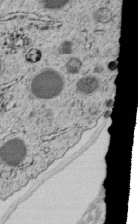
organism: C. elegans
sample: C. elegans embryo early stage